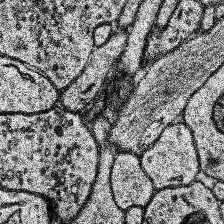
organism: Human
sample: Temporal Lobe